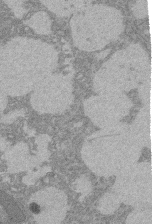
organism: Rat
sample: Salivary granule